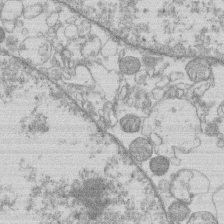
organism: Human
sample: Macrophage cells